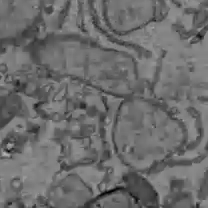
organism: C57BL Mouse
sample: Liver